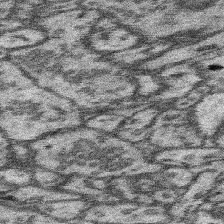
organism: Mouse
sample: Somatosensory cortex neuropil